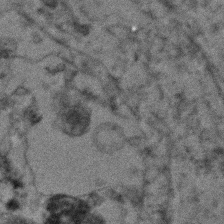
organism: Human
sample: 1205lu cells